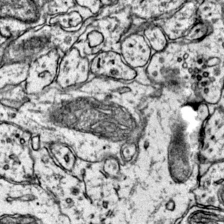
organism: Mouse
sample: Primary visual cortex